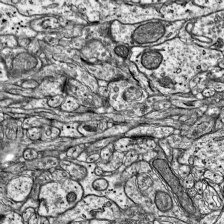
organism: Mouse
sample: Visual Cortex